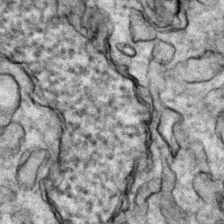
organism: Zebrafish